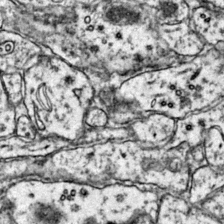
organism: Mouse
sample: Primary visual cortex